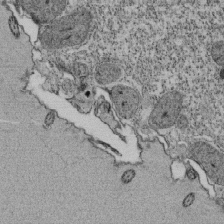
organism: Tetrahymena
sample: Cilia in tetrahymena